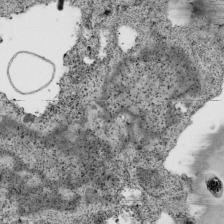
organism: Human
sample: Mitochondria in HCT116 cells